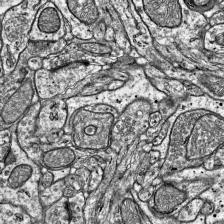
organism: Mouse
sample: Visual Cortex